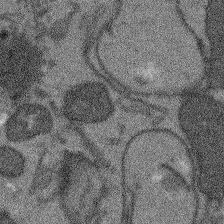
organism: Arabidopsis thaliana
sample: Root tip